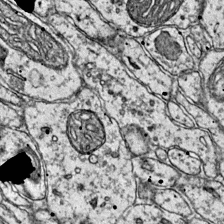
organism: Mouse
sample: Primary visual cortex